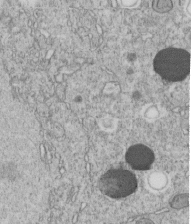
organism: C. elegans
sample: C. elegans embryo early stage